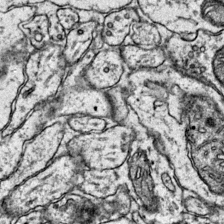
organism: Mouse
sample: Primary visual cortex